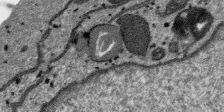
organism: Human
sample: Lung epithelial cells, uninfected (mock) control